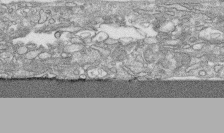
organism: Human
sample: CRL-1474